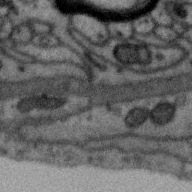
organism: Zebra finch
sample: Brain